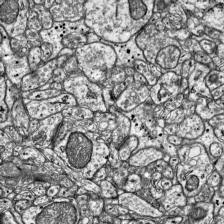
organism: Mouse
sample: Visual Cortex